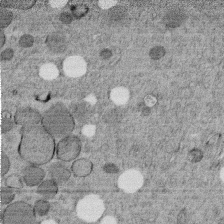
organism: C. elegans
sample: C. elegans embryo early stage